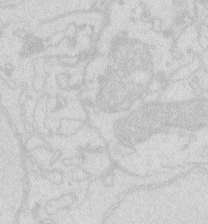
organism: Zebrafish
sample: Macrophage